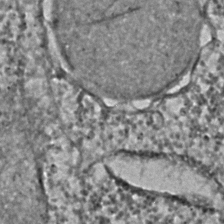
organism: C. elegans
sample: C. elegans embryo